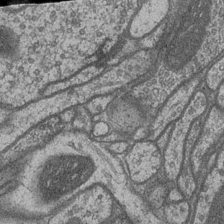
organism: Drosophila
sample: Optic medulla